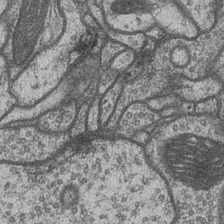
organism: Drosophila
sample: Optic medulla